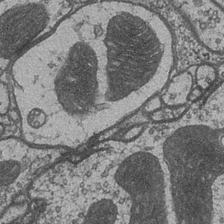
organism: Drosophila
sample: Optic medulla